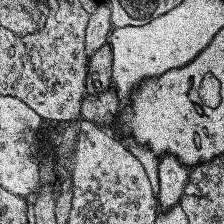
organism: Human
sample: Temporal Lobe